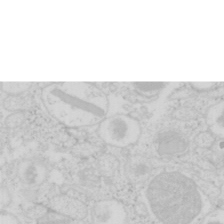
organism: Mouse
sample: Pancreas